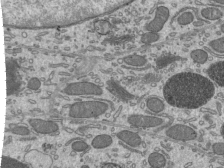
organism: Mouse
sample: Mouse epididymis efferent ductule cilia